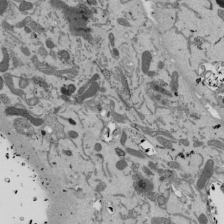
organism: Mouse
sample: ED-1 cell nuclei; centrioles